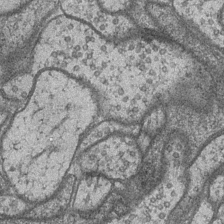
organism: Drosophila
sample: Optic medulla